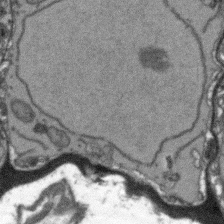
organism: Arabidopsis thaliana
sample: Root tip